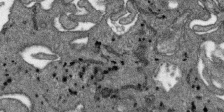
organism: Human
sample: Lung epithelial cells, uninfected (mock) control